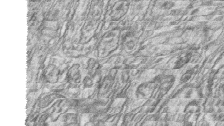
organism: Zebrafish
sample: synaptic ribbons in rod cells and cone cells